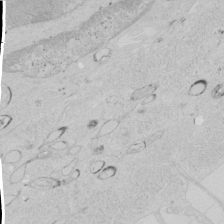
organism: Human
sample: Mitochondria in HCT116 cells